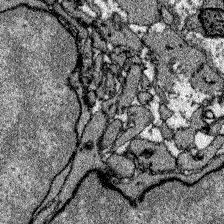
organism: Zebrafish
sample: Larval olfactory bulb